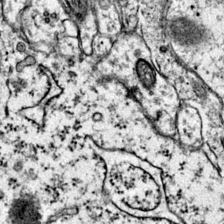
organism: Mouse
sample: Primary visual cortex